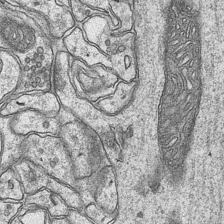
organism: Mouse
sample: CA1 Hippocampus